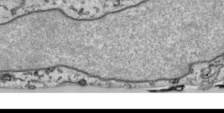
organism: Human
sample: Mitochondria in HCT116 cells